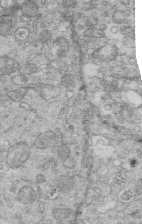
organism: Mouse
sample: Multiciliated cells